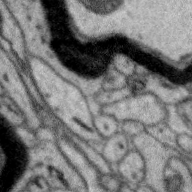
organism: Zebra finch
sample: Brain